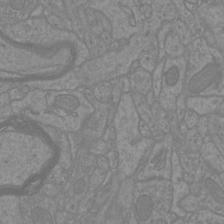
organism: Mouse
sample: Cortical neurons